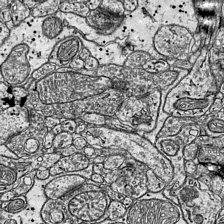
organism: Mouse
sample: Visual Cortex